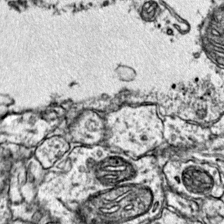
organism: Mouse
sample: Primary visual cortex